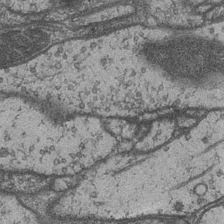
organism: Drosophila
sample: Optic medulla